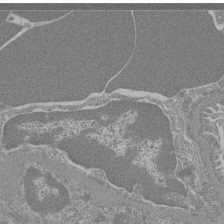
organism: Mouse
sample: Glomerulus